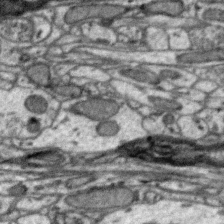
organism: Zebra finch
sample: Brain